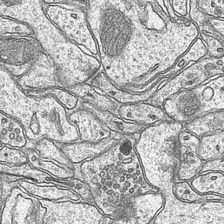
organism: Mouse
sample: CA1 Hippocampus